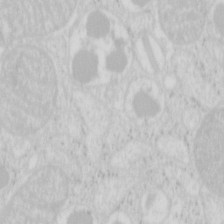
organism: Mouse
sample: Pancreas